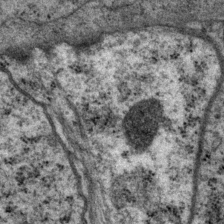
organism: P. pacificus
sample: Pharynx